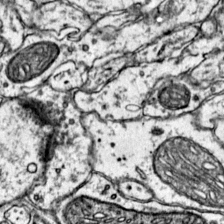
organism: Mouse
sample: Primary visual cortex